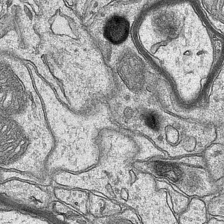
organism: Mouse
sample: CA1 Hippocampus